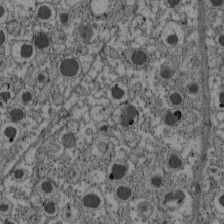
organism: C57BL Mouse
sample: Pancreatic islet